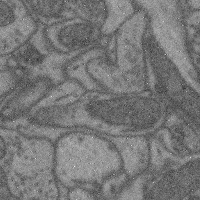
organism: Mouse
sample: Cerebral cortex